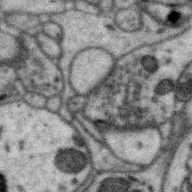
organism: Zebra finch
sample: Brain